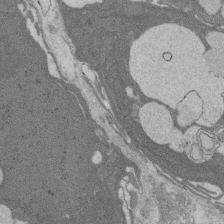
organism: Rat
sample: Salivary granule